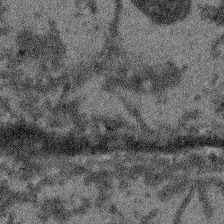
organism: Arabidopsis thaliana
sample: Root tip